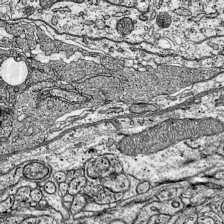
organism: Mouse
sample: Visual Cortex